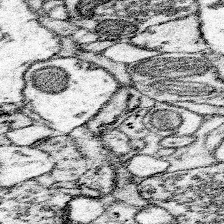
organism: Mouse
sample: Somatosensory cortex neuropil